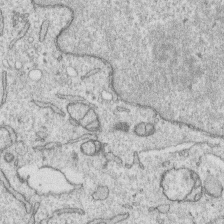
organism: Human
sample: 1205lu cells